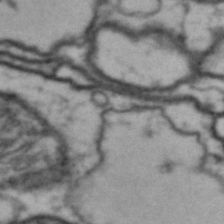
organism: Drosophila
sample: Brain